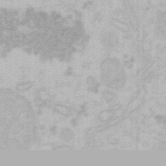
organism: Mouse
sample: Choroid plexus